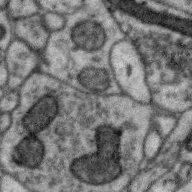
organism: Zebra finch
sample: Brain